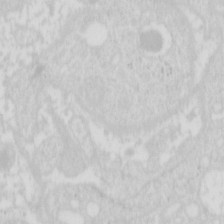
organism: Mouse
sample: Pancreas